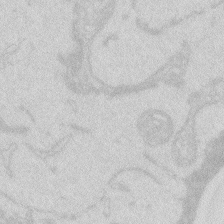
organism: Zebrafish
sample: Macrophage